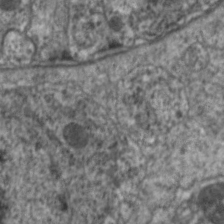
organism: C. elegans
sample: Pharynx